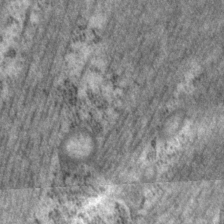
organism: P. pacificus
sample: Pharynx